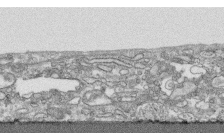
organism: Human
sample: CRL-1474